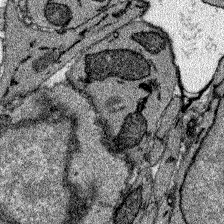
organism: Zebrafish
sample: Larval olfactory bulb